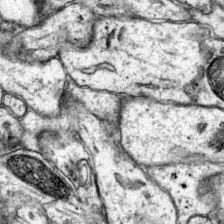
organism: Mouse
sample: Primary visual cortex